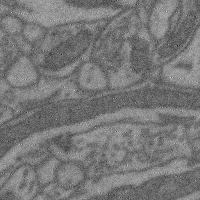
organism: Mouse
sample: Cerebral cortex